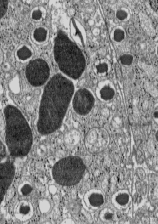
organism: C57BL Mouse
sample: Pancreatic islet